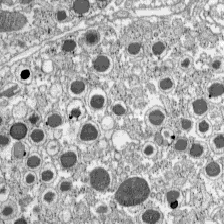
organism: C57BL Mouse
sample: Pancreatic islet